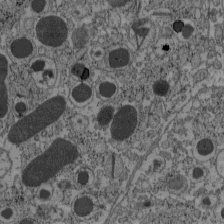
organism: C57BL Mouse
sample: Pancreatic islet